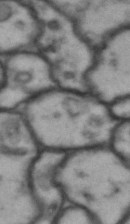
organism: Drosophila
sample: Brain